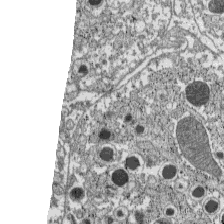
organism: C57BL Mouse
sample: Pancreatic islet